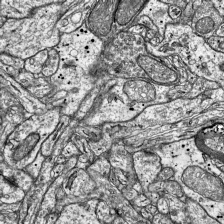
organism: Mouse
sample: Visual Cortex